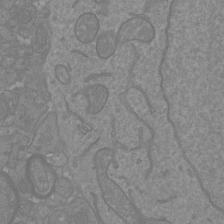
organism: Mouse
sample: Cortical neurons